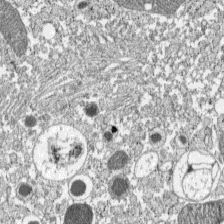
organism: C57BL Mouse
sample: Pancreatic islet